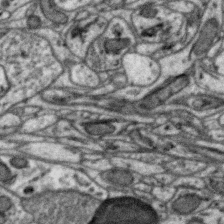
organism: Zebra finch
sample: Brain